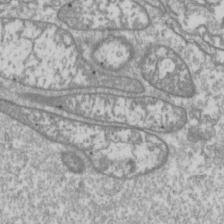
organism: Drosophila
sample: Cell division; meiosis; drosophila spermatocytes